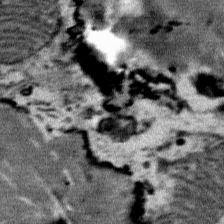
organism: Mouse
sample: Mouse Salivary gland